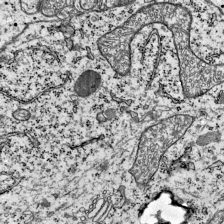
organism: Mouse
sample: Visual Cortex